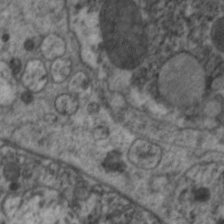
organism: C. elegans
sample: Pharynx